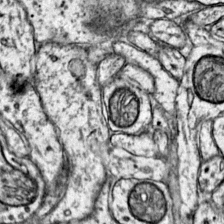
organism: Mouse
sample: Primary visual cortex